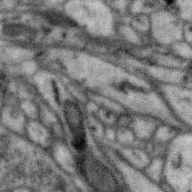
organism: Zebra finch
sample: Brain